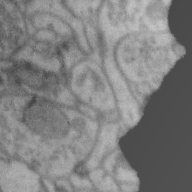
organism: Zebra finch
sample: Brain